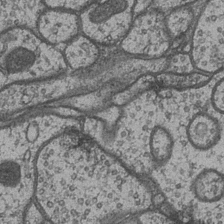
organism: Drosophila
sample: Optic medulla